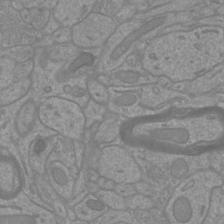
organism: Mouse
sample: Cortical neurons